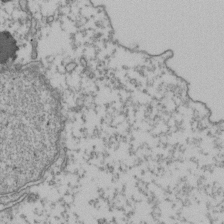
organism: Human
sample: Activated Jurkat CD4+ T cells